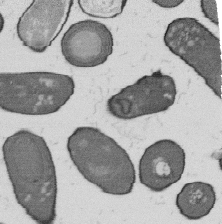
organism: B. subtilis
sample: Bacterial spore